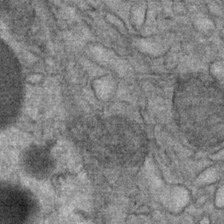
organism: Mouse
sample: Mouse Salivary gland